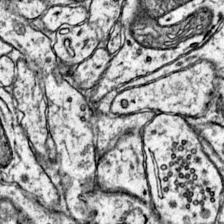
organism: Mouse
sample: Primary visual cortex